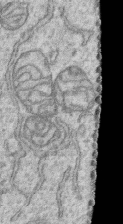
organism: Human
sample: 1205lu cells